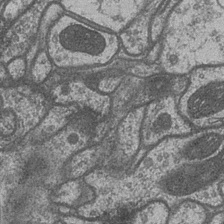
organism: Drosophila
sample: Optic medulla